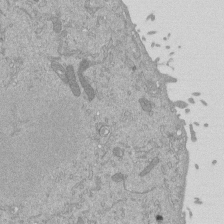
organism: Mouse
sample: ED-1 cell nuclei; centrioles